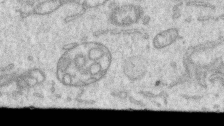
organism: Human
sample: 1205lu cells